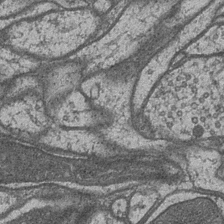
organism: Drosophila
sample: Optic medulla